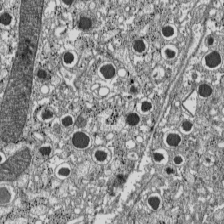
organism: C57BL Mouse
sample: Pancreatic islet